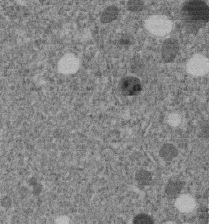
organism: C. elegans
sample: C. elegans embryo early stage